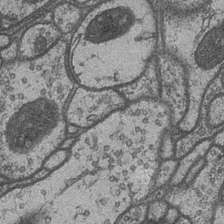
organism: Drosophila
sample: Optic medulla